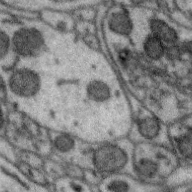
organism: Zebra finch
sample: Brain